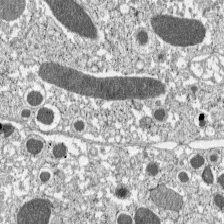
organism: C57BL Mouse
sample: Pancreatic islet